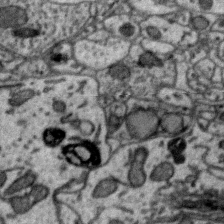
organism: Zebra finch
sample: Brain